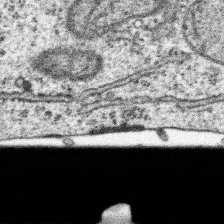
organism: Human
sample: HeLa cells